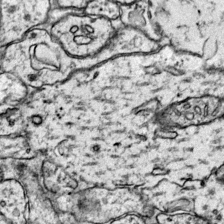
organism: Mouse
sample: Primary visual cortex